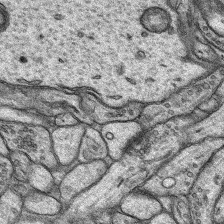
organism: Rat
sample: Hippocampus